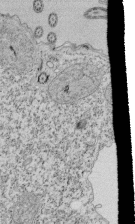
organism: Tetrahymena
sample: Cilia in tetrahymena